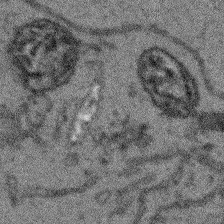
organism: Arabidopsis thaliana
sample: Root tip